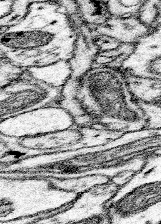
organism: Mouse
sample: Somatosensory cortex neuropil